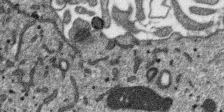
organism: Human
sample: Lung epithelial cells infected with SARS-CoV-2